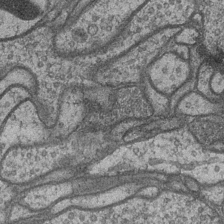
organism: Drosophila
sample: Optic medulla